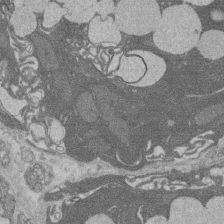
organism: Rat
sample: Salivary granule